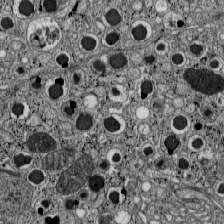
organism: C57BL Mouse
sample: Pancreatic islet